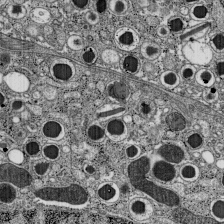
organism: C57BL Mouse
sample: Pancreatic islet